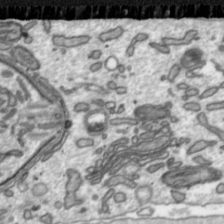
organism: Toxoplasma gondii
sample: Parasites in a vacuole inside a host cell